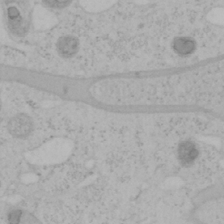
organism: Mouse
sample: OT-I killer T cells with ID8 ovarian cancer cells